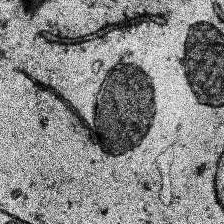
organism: Human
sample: Temporal Lobe